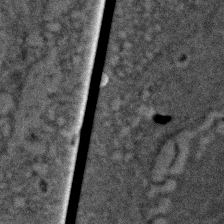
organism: Zebrafish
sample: Zebrafish embryo